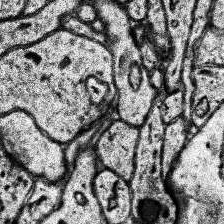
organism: Human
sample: Temporal Lobe